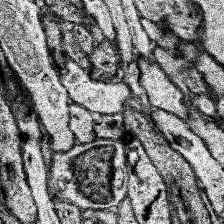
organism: Human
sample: Temporal Lobe